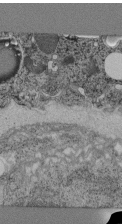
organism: C. elegans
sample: C. elegans pharynx